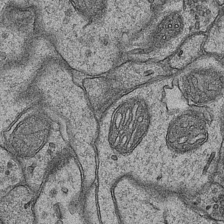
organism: Mouse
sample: CA1 Hippocampus